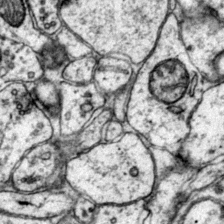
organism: Mouse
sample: Primary visual cortex